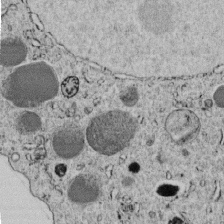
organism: C. elegans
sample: C. elegans embryo early stage